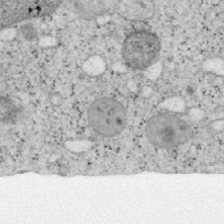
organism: Mouse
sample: OT-I killer T cells with ID8 ovarian cancer cells